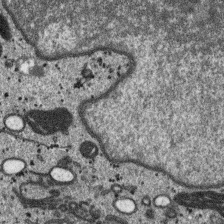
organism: Human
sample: Lung epithelial cells infected with SARS-CoV-2